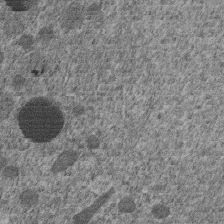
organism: C. elegans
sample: C. elegans embryo early stage